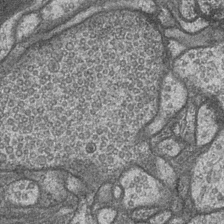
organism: Drosophila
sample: Optic medulla